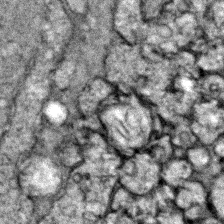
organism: Zebrafish